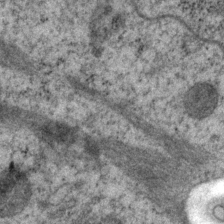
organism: P. pacificus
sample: Pharynx